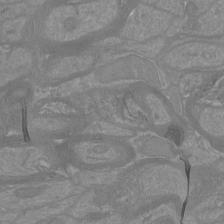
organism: Mouse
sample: Cortical neurons